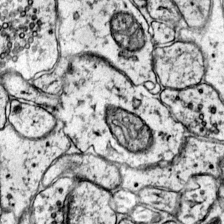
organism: Mouse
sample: Primary visual cortex